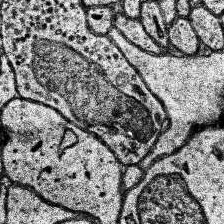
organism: Human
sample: Temporal Lobe